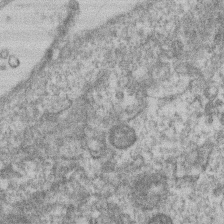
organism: Mouse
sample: T cell stromal cell synapse